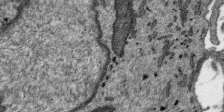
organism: Human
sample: Lung epithelial cells, uninfected (mock) control